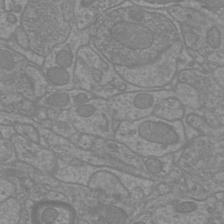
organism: Mouse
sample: Cortical neurons